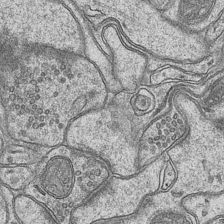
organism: Mouse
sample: CA1 Hippocampus